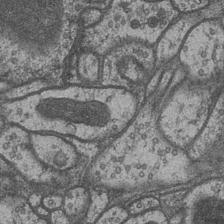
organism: Drosophila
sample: Optic medulla